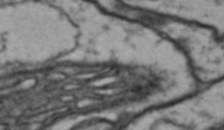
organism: Drosophila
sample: Brain